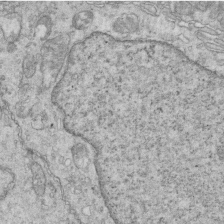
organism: Mouse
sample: Multiciliated cells